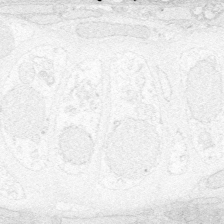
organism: Zebrafish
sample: Whole-Brain